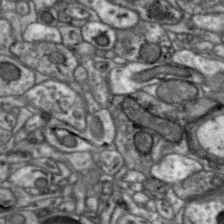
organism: Zebra finch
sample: Brain